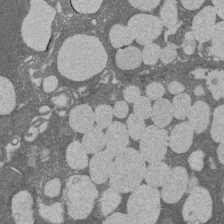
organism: Rat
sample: Salivary granule